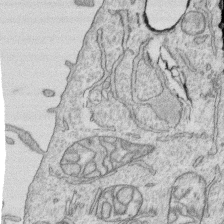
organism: Human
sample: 1205lu cells